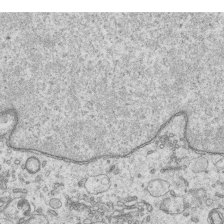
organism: Human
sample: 1205lu cells